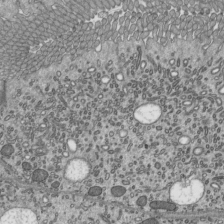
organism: Mouse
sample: Mouse epididymis efferent ductule cilia